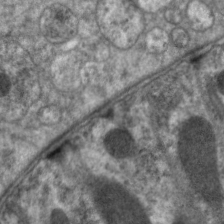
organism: C. elegans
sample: Pharynx